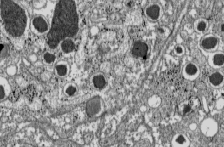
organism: C57BL Mouse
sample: Pancreatic islet